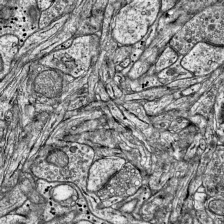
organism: Mouse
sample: Visual Cortex